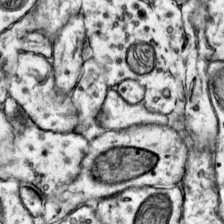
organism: Mouse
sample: Primary visual cortex